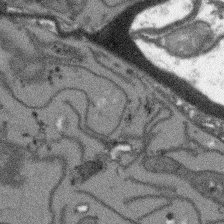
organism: Arabidopsis thaliana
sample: Root tip